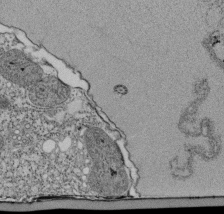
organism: Tetrahymena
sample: Cilia in tetrahymena